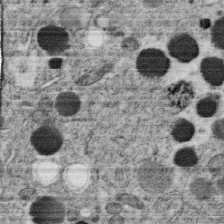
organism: C. elegans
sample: C. elegans oocyte; sperm cells